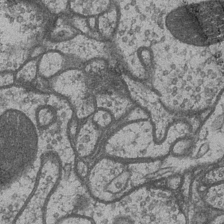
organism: Drosophila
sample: Optic medulla